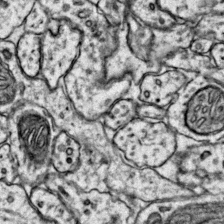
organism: Mouse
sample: Primary visual cortex